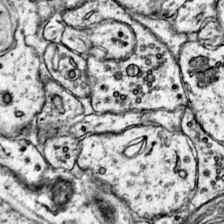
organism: Mouse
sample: Primary visual cortex